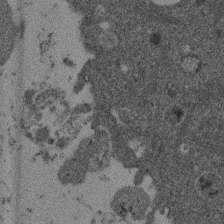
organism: Mouse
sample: Dividing mouse embryo 1 cell stage